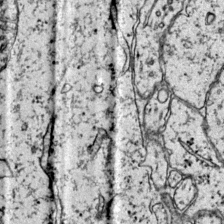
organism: Mouse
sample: Primary visual cortex